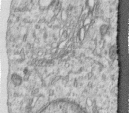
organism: Human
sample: Centriole in RPE cells